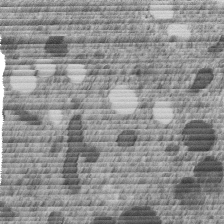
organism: C. elegans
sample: C. elegans embryo early stage